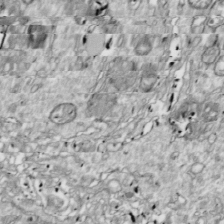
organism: Drosophila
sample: Cell division; meiosis; drosophila spermatocytes